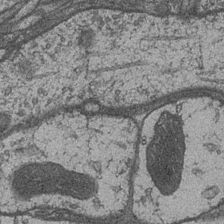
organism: Drosophila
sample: Optic medulla